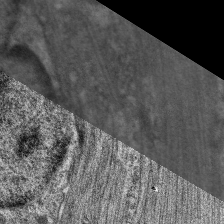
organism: C. elegans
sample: Pharynx